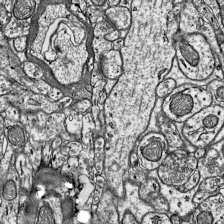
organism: Mouse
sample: Visual Cortex